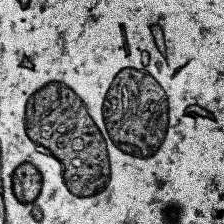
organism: Human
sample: Temporal Lobe